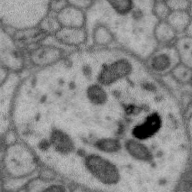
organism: Zebra finch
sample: Brain